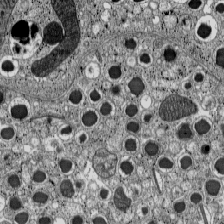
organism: C57BL Mouse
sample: Pancreatic islet